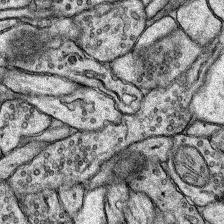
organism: Rat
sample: Hippocampus